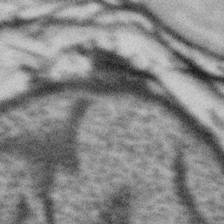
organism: Gemmata obscuriglobus